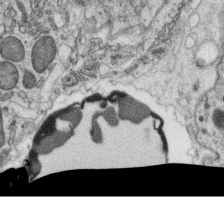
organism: C. elegans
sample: C. elegans oocyte; sperm cells